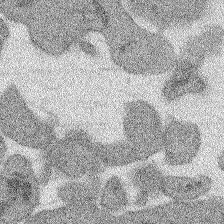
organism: Human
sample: HeLa cells